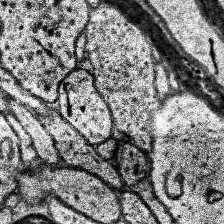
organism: Human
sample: Temporal Lobe